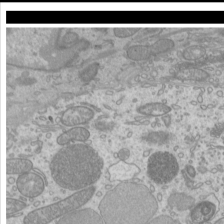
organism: Mouse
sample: Cilia; mouse epididymis